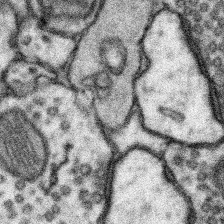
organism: Mouse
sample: Somatosensory cortex neuropil